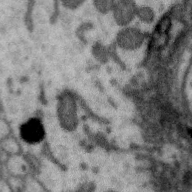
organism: Zebra finch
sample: Brain